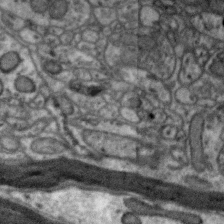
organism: Zebra finch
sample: Brain